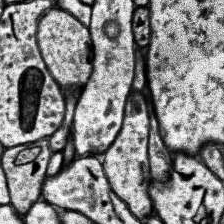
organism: Human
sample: Temporal Lobe